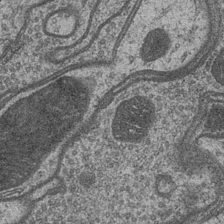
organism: Drosophila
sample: Optic medulla